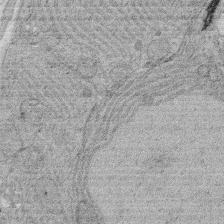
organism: Rat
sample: Salivary granule